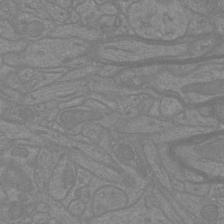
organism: Mouse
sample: Cortical neurons